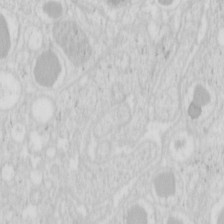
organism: Mouse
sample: Pancreas